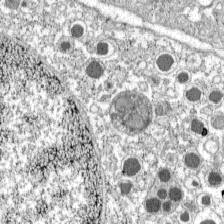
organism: C57BL Mouse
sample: Pancreatic islet